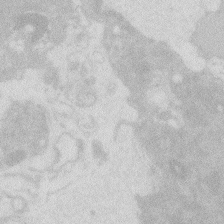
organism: Zebrafish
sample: Macrophage